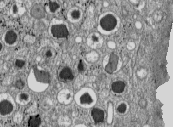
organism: C57BL Mouse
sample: Pancreatic islet